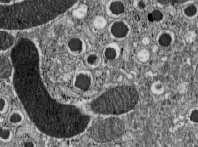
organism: C57BL Mouse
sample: Pancreatic islet